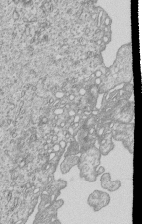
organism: Human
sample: MDA-MB-231 cells